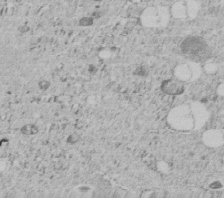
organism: C. elegans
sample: C. elegans embryo early stage